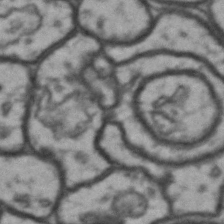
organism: Drosophila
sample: Brain